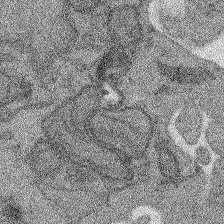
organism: Human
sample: HeLa cells